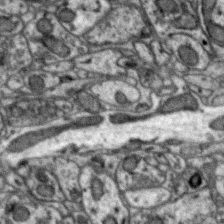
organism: Zebra finch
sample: Brain